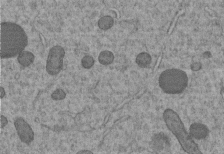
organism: C. elegans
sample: C. elegans embryo early stage